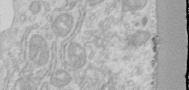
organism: Human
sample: Centriole in RPE cells